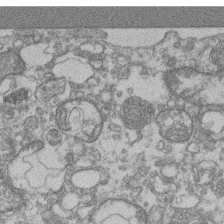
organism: Mouse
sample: T cell stromal cell synapse